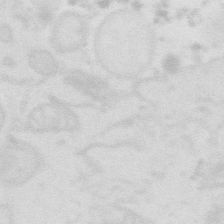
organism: Human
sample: HeLa cells